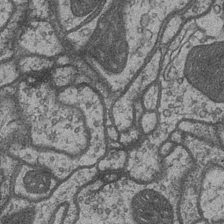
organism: Drosophila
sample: Optic medulla